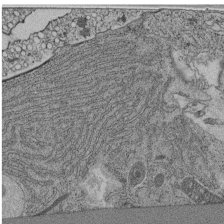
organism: C. elegans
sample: C. elegans pharynx